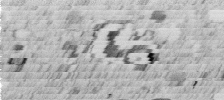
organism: C. elegans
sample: C. elegans embryo early stage